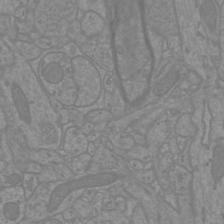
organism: Mouse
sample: Cortical neurons